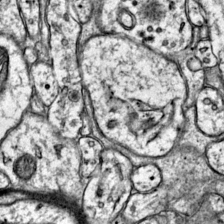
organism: Mouse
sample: Primary visual cortex